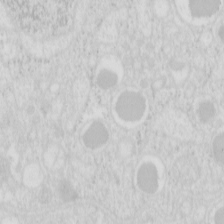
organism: Mouse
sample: Pancreas